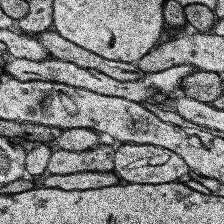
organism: Human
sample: Temporal Lobe